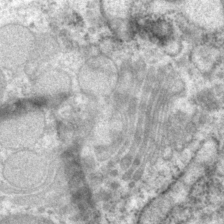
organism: P. pacificus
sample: Pharynx